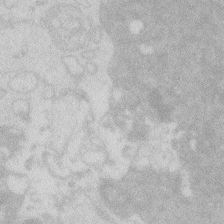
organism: Zebrafish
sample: Macrophage